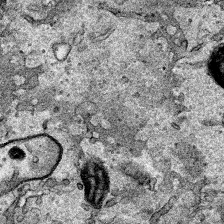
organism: Human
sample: Mitochondria in HCT116 cells